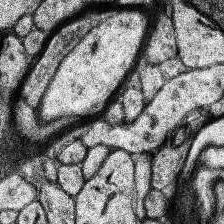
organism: Human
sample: Temporal Lobe